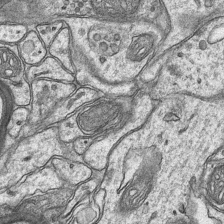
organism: Mouse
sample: CA1 Hippocampus